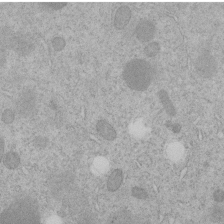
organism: C. elegans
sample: C. elegans embryo early stage